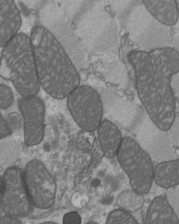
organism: C57BL Mouse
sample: Heart